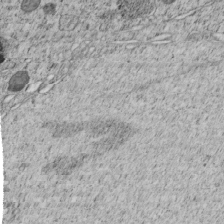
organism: C. elegans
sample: C. elegans embryo early stage